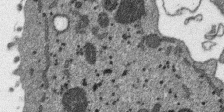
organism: Human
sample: Lung epithelial cells infected with SARS-CoV-2